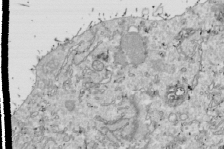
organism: Drosophila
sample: Cell division; meiosis; drosophila spermatocytes